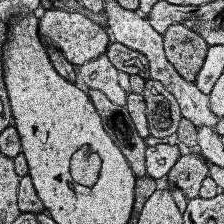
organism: Human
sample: Temporal Lobe